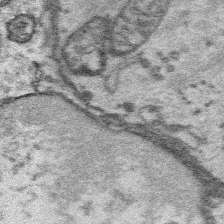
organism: Platynereis dumerilii